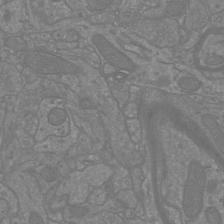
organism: Mouse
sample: Cortical neurons